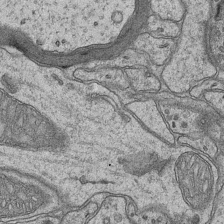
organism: Mouse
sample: CA1 Hippocampus